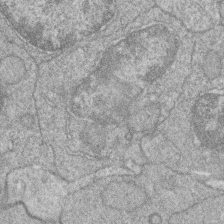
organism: Zebrafish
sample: Cilia; retinal pigment epithelium